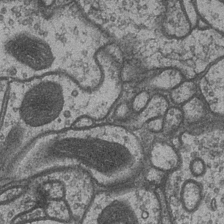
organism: Drosophila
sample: Optic medulla